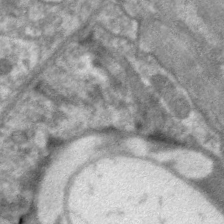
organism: C. elegans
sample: Pharynx